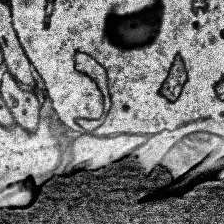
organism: Human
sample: Temporal Lobe